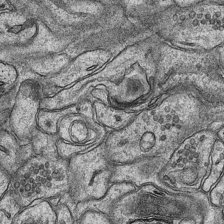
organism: Mouse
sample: CA1 Hippocampus